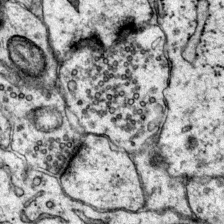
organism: Mouse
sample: Primary visual cortex